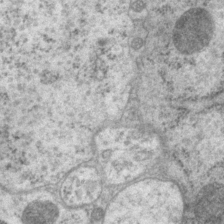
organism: P. pacificus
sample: Pharynx